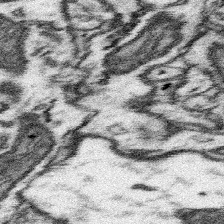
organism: Mouse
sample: Somatosensory cortex neuropil